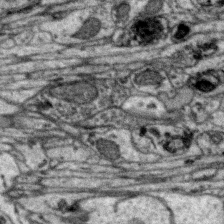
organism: Zebra finch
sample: Brain